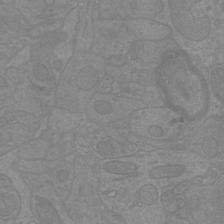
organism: Mouse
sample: Cortical neurons